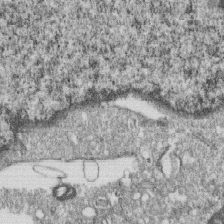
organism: African green monkey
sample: Vero E6 cells infected with SARS-CoV-2